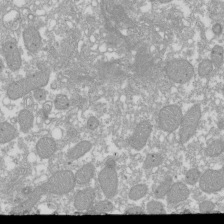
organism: Xenopus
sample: Cilia; centrioles in frog embryo cells